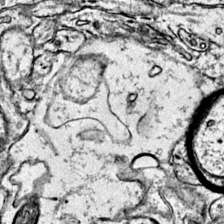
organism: Mouse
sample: Primary visual cortex